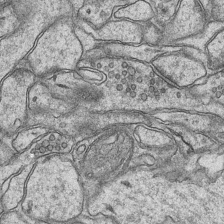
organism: Mouse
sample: CA1 Hippocampus